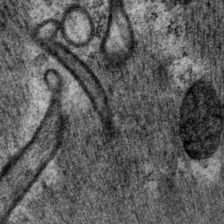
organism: P. pacificus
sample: Pharynx